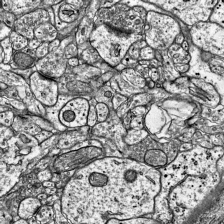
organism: Mouse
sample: Visual Cortex